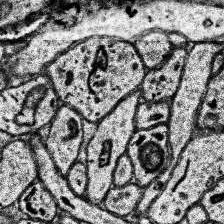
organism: Human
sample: Temporal Lobe